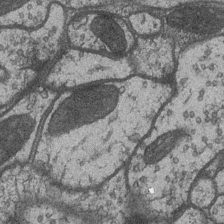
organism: Drosophila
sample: Optic medulla